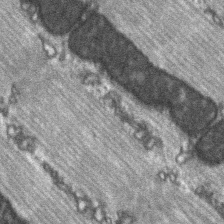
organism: C57BL Mouse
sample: Soleus